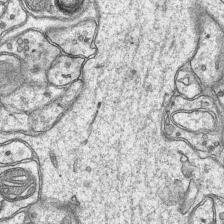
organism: Mouse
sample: CA1 Hippocampus